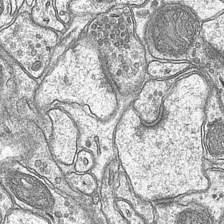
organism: Mouse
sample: CA1 Hippocampus